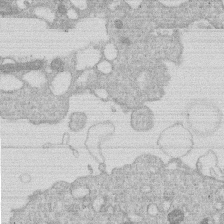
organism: Human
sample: Macrophage cells